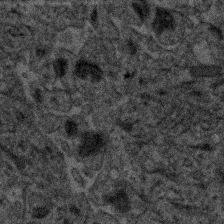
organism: Human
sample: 1205lu cells